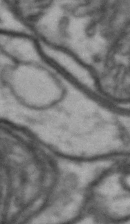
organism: Drosophila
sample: Brain